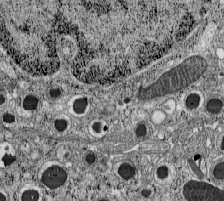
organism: C57BL Mouse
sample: Pancreatic islet